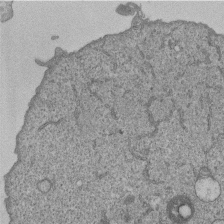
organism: Human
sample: MDA-MB-231 cells